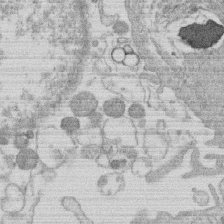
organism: Human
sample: Macrophage cells